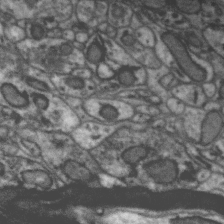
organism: Zebra finch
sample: Brain